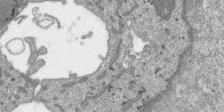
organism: Human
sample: Lung epithelial cells infected with SARS-CoV-2